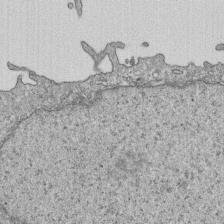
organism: Human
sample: HeLa cell HIV synapse